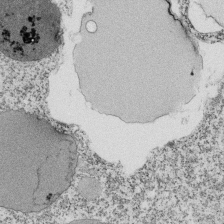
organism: Tetrahymena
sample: Cilia in tetrahymena